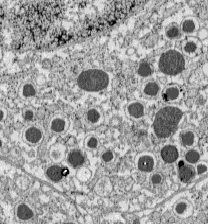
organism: C57BL Mouse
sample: Pancreatic islet